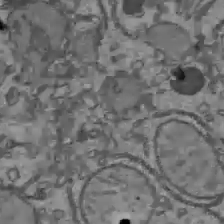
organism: C57BL Mouse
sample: Liver